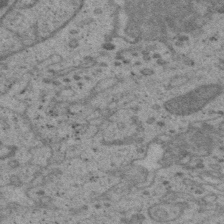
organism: Human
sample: HeLa cells